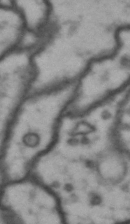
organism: Drosophila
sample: Brain